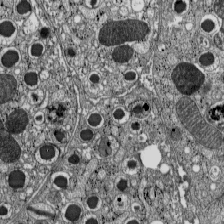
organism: C57BL Mouse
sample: Pancreatic islet